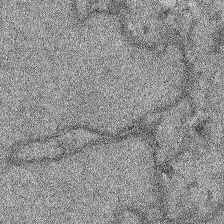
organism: Human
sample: HeLa cells